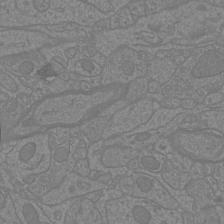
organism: Mouse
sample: Cortical neurons